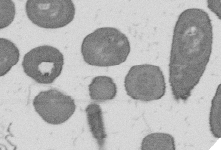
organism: B. subtilis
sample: Bacterial spore